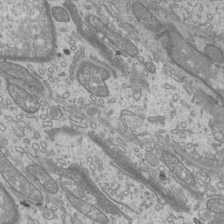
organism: Mouse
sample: Cilia; mouse epididymis